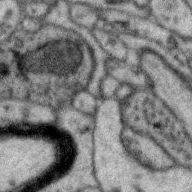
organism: Zebra finch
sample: Brain